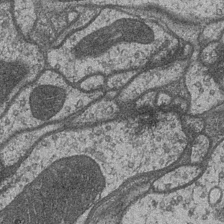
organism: Drosophila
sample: Optic medulla